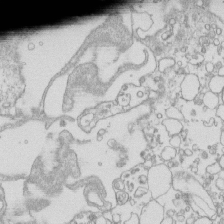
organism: Mouse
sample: Macrophages